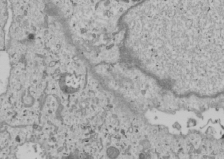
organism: Human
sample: Mitochondria in U2OS cells